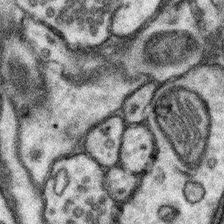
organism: Mouse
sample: Somatosensory cortex neuropil